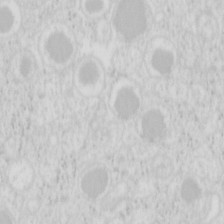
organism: Mouse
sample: Pancreas